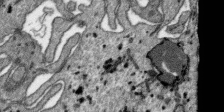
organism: Human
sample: Lung epithelial cells, uninfected (mock) control